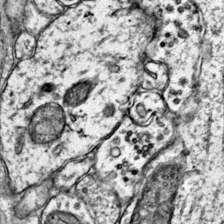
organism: Mouse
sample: Primary visual cortex